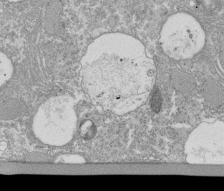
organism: Tetrahymena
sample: Cilia in tetrahymena